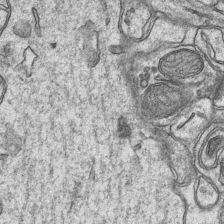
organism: Mouse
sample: CA1 Hippocampus